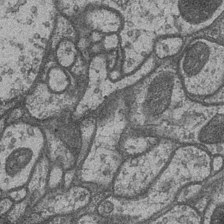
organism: Drosophila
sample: Optic medulla